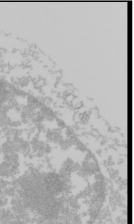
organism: Mouse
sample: Cancer cell death in ED-1 cells